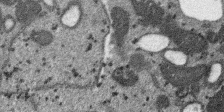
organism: Human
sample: Lung epithelial cells infected with SARS-CoV-2